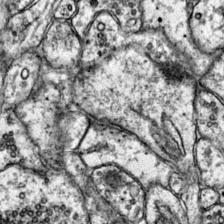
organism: Mouse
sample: Primary visual cortex